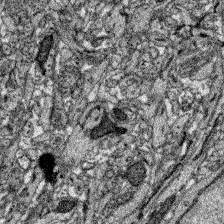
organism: Zebrafish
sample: Larval olfactory bulb